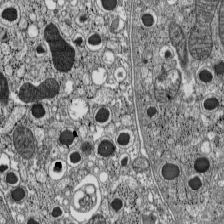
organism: C57BL Mouse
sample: Pancreatic islet